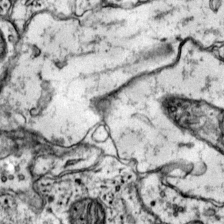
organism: Mouse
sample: Primary visual cortex